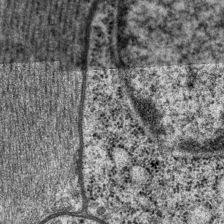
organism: P. pacificus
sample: Pharynx